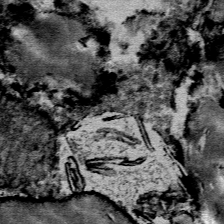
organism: Mouse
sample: Mouse Salivary gland